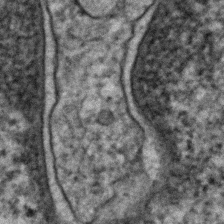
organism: Human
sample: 1205lu cells